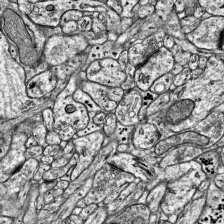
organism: Mouse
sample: Visual Cortex